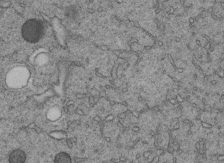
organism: C. elegans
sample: C. elegans embryo early stage